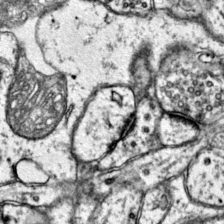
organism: Mouse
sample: Primary visual cortex